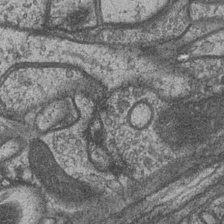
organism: Drosophila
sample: Optic medulla